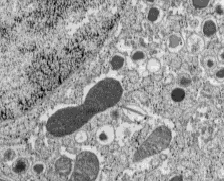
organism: C57BL Mouse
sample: Pancreatic islet